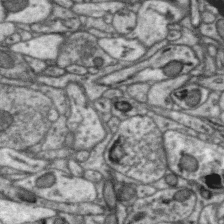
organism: Zebra finch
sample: Brain